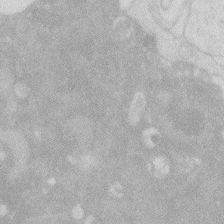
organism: Zebrafish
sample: Macrophage